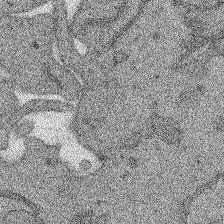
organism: Human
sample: HeLa cells